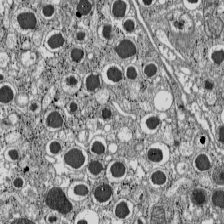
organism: C57BL Mouse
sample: Pancreatic islet